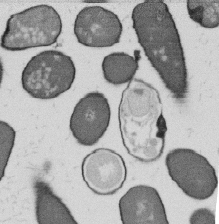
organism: B. subtilis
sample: Bacterial spore